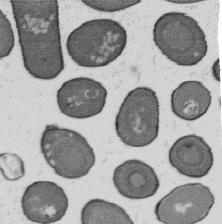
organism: B. subtilis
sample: Bacterial spore